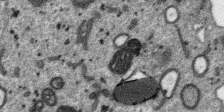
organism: Human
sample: Lung epithelial cells infected with SARS-CoV-2